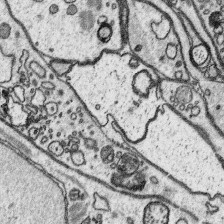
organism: Platynereis dumerilii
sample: Parapodia